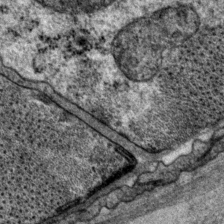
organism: P. pacificus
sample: Pharynx